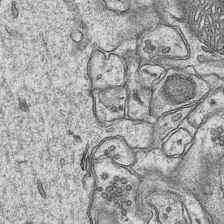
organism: Mouse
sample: CA1 Hippocampus